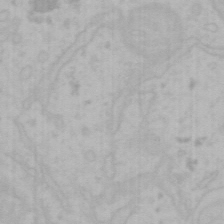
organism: Mouse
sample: Choroid plexus